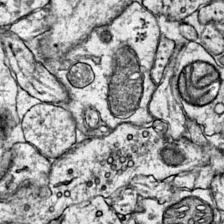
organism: Mouse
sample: Primary visual cortex